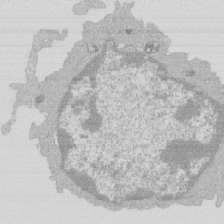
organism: Mouse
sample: Activated Pmel transgenic CD8+ T Cells